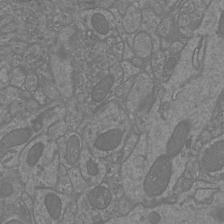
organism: Mouse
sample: Cortical neurons